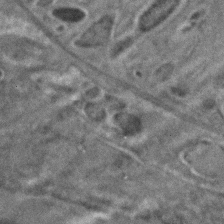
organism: C. elegans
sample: C. elegans embryo